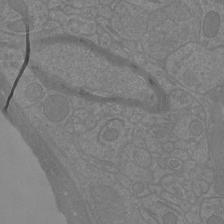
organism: Mouse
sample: Cortical neurons